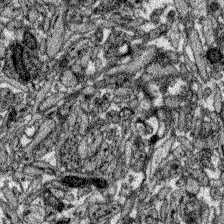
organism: Zebrafish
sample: Larval olfactory bulb